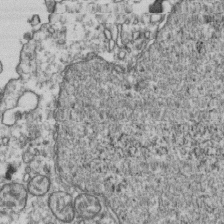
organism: Human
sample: Activated Jurkat CD4+ T cells